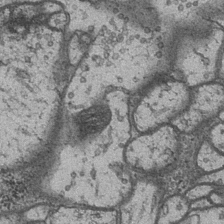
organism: Drosophila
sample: Optic medulla